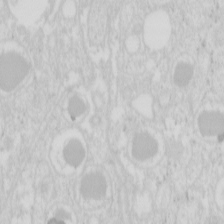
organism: Mouse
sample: Pancreas